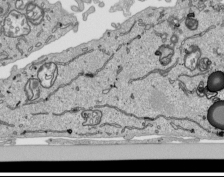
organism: Human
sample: Mitochondria in HCT116 cells